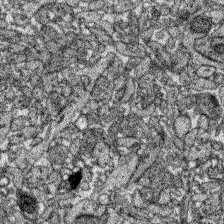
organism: Zebrafish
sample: Larval olfactory bulb